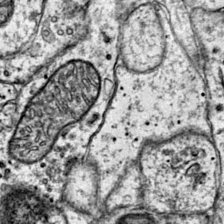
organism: Mouse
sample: Primary visual cortex